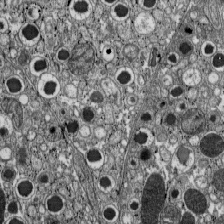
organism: C57BL Mouse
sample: Pancreatic islet